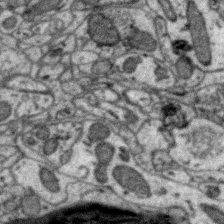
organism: Zebra finch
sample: Brain